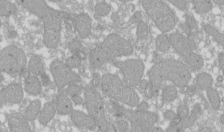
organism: Xenopus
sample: Cilia; centrioles in frog embryo cells